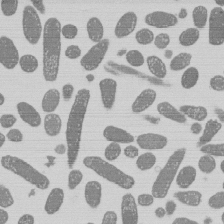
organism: E. coli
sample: Bacterial nucleoid